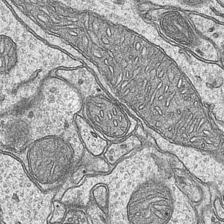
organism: Mouse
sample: CA1 Hippocampus